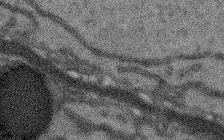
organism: Arabidopsis thaliana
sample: Root tip